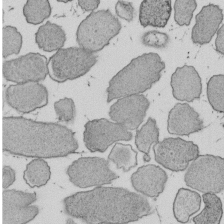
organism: E. coli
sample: Bacterial nucleoid